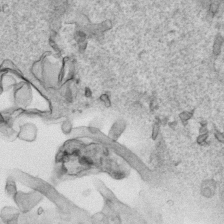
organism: Human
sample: Mitochondria in HCT116 cells